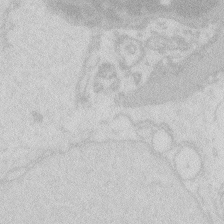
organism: Zebrafish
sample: Macrophage